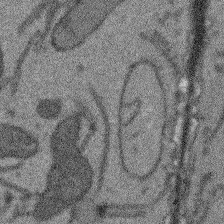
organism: Arabidopsis thaliana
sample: Root tip